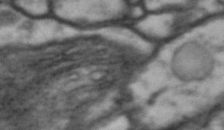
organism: Drosophila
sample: Brain